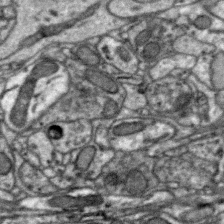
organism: Zebra finch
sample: Brain